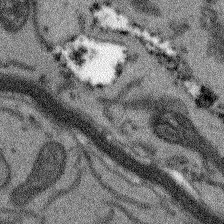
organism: Arabidopsis thaliana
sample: Root tip